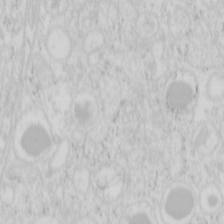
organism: Mouse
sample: Pancreas